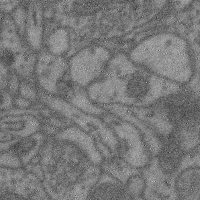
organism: Mouse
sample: Cerebral cortex